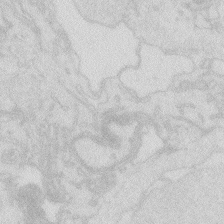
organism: Zebrafish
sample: Macrophage